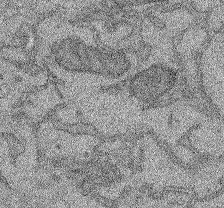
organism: Human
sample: HeLa cells